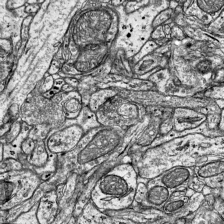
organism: Mouse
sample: Visual Cortex